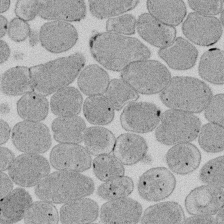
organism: E. coli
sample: Bacterial nucleoid